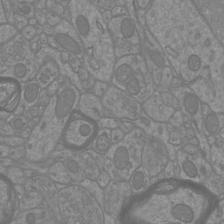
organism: Mouse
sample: Cortical neurons